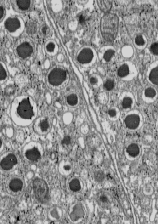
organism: C57BL Mouse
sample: Pancreatic islet